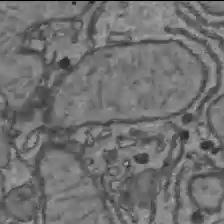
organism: C57BL Mouse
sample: Liver